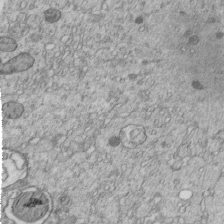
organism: C. elegans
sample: C. elegans embryo early stage